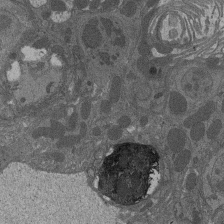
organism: Drosophila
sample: Antenna